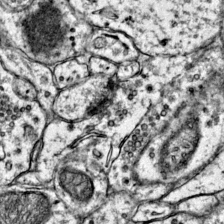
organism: Mouse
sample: Primary visual cortex